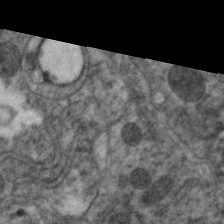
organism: C. elegans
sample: Pharynx